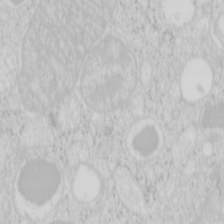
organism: Mouse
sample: Pancreas